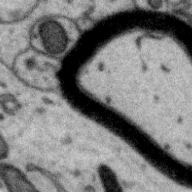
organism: Zebra finch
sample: Brain